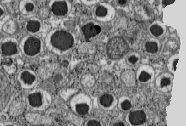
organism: C57BL Mouse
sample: Pancreatic islet